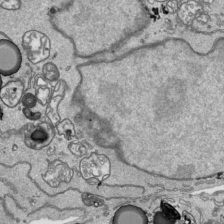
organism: Human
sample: Mitochondria in HCT116 cells